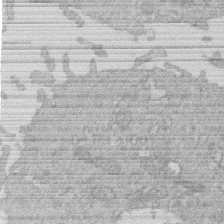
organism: Human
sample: Macrophage cells